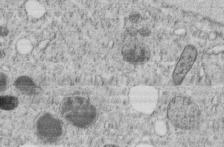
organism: C. elegans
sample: C. elegans embryo early stage